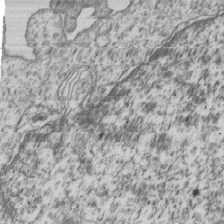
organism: Human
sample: MDA-MB-231 cells